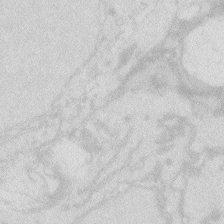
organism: Zebrafish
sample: Macrophage